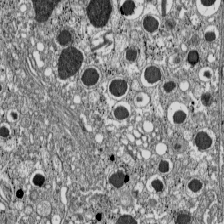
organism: C57BL Mouse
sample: Pancreatic islet